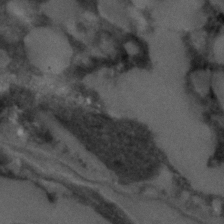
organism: C. elegans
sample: C. elegans embryo